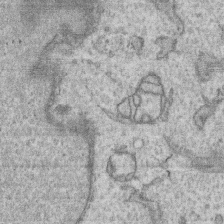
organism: Human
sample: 1205lu cells